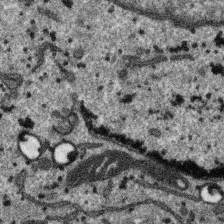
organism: Human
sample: Lung epithelial cells infected with SARS-CoV-2